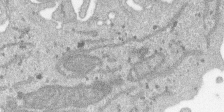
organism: Human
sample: Lung epithelial cells infected with SARS-CoV-2